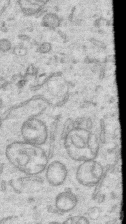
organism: Human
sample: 1205lu cells